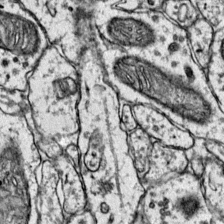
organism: Mouse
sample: Primary visual cortex